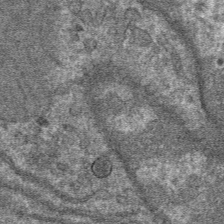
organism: Mouse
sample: Mouse hepatocytes